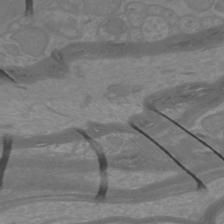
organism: Mouse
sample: Cortical neurons